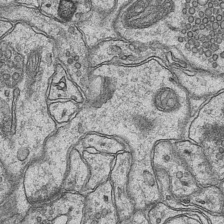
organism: Mouse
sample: CA1 Hippocampus